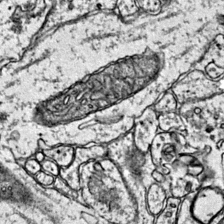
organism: Mouse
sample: Primary visual cortex